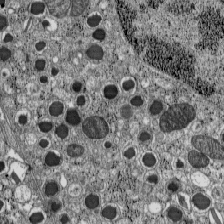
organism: C57BL Mouse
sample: Pancreatic islet